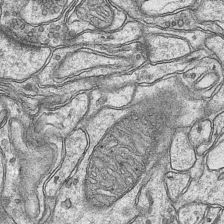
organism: Mouse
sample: CA1 Hippocampus